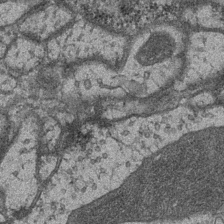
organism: Drosophila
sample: Optic medulla